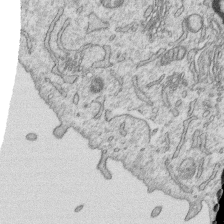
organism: Human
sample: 1205lu cells